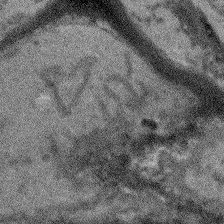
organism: Arabidopsis thaliana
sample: Root tip